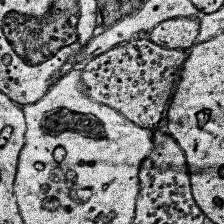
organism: Human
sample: Temporal Lobe